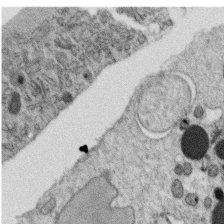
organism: C. elegans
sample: C. elegans oocyte; sperm cells